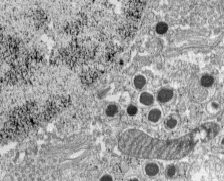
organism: C57BL Mouse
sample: Pancreatic islet